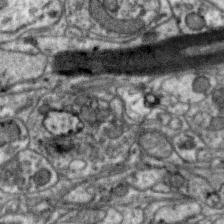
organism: Zebra finch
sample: Brain